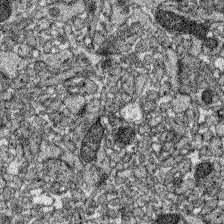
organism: Zebrafish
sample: Larval olfactory bulb